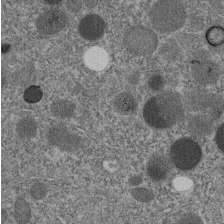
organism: C. elegans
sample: C. elegans embryo early stage